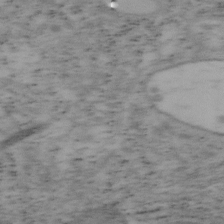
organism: Mouse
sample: OT-I killer T cells with ID8 ovarian cancer cells